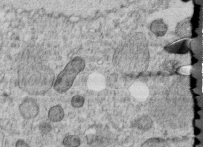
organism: C. elegans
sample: C. elegans embryo early stage